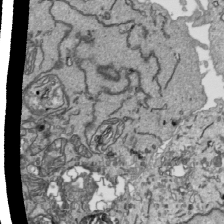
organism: Human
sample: Mitochondria in HCT116 cells